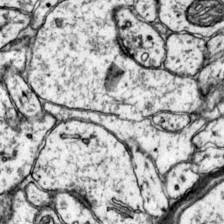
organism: Mouse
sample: Primary visual cortex